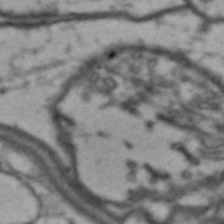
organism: Drosophila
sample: Brain